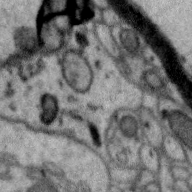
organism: Zebra finch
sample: Brain